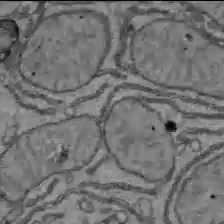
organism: C57BL Mouse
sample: Liver